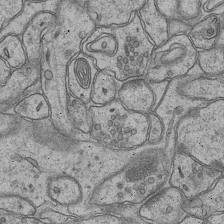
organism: Mouse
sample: CA1 Hippocampus